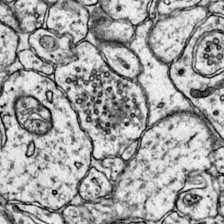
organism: Mouse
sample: Primary visual cortex